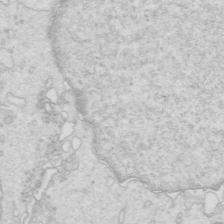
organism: Mouse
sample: Multiciliated cells